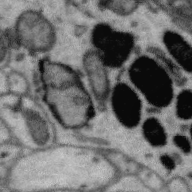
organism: Zebra finch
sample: Brain